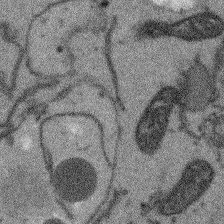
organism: Arabidopsis thaliana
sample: Root tip